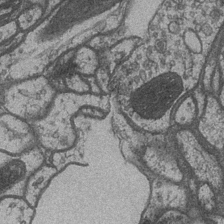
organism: Drosophila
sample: Optic medulla